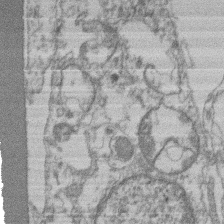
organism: Mouse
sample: T cell stromal cell synapse